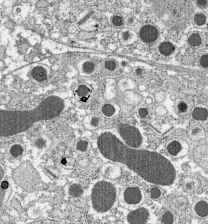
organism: C57BL Mouse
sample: Pancreatic islet